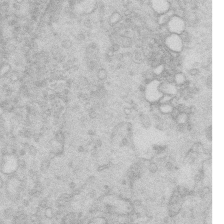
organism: Mouse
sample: Multiciliated cells